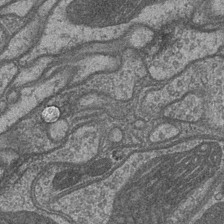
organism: Drosophila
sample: Optic medulla